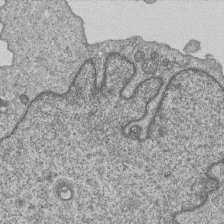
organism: Human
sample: MDA-MB-231 cells